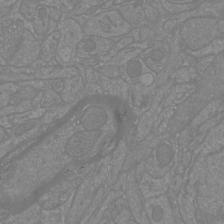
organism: Mouse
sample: Cortical neurons